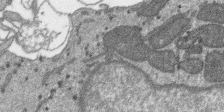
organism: Human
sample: Lung epithelial cells infected with SARS-CoV-2